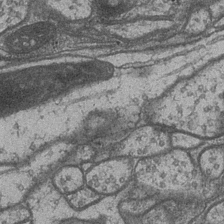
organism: Drosophila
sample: Optic medulla